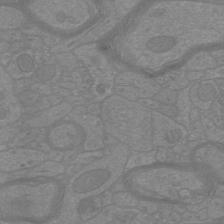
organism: Mouse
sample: Cortical neurons